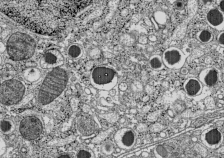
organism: C57BL Mouse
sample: Pancreatic islet